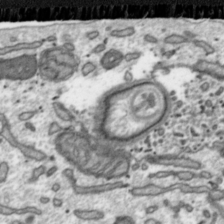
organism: Toxoplasma gondii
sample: Parasites in a vacuole inside a host cell